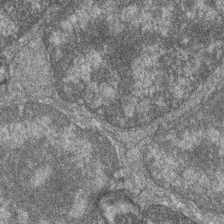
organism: Zebrafish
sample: Cilia; retinal pigment epithelium